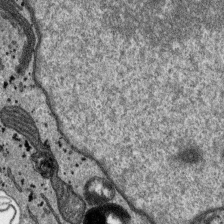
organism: Human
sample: Lung epithelial cells, uninfected (mock) control